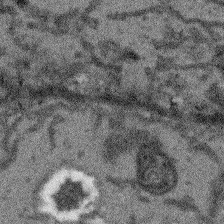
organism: Arabidopsis thaliana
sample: Root tip